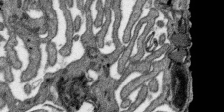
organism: Human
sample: Lung epithelial cells, uninfected (mock) control